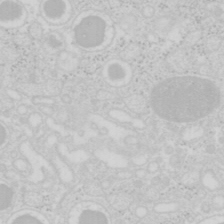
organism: Mouse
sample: Pancreas